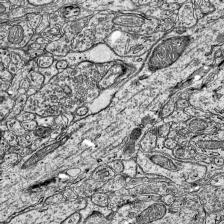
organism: Mouse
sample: Visual Cortex